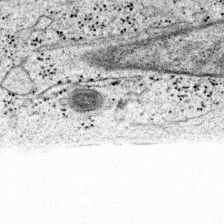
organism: Human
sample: HeLa cells